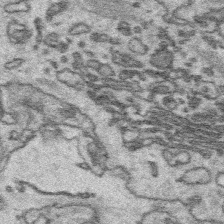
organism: Platynereis dumerilii